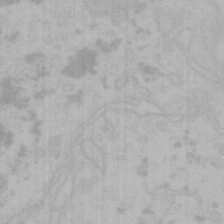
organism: Mouse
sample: Choroid plexus